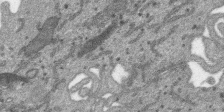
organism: Human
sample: Lung epithelial cells infected with SARS-CoV-2